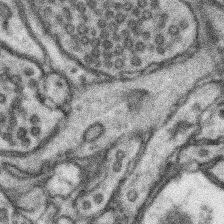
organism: Mouse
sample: Somatosensory cortex neuropil